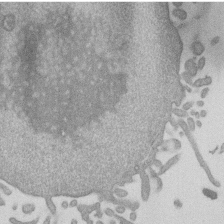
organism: Mouse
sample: Dividing mouse embryo 1 cell stage